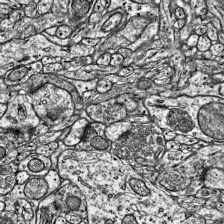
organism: Mouse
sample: Visual Cortex